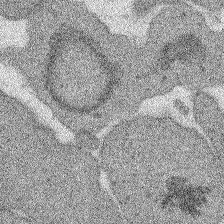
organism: Human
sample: HeLa cells